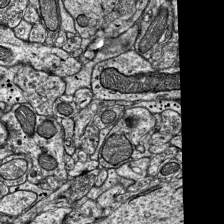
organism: Mouse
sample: Visual Cortex